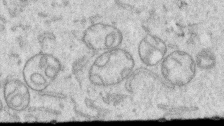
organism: Human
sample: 1205lu cells